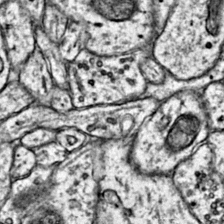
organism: Mouse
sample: Primary visual cortex